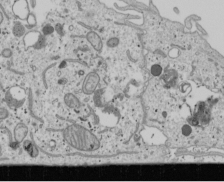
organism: Human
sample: Mitochondria in U2OS cells